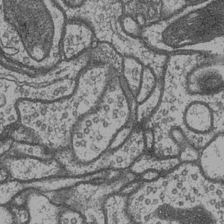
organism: Drosophila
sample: Optic medulla